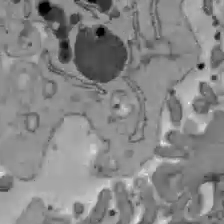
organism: C57BL Mouse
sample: Liver